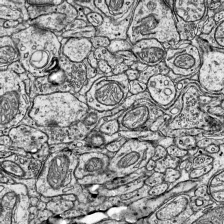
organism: Mouse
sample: Visual Cortex